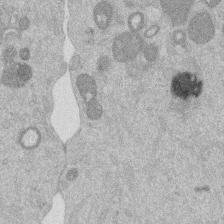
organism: Mouse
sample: Dividing mouse embryo 1 cell stage